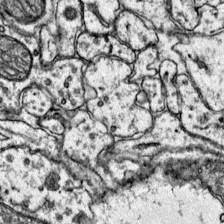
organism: Mouse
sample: Primary visual cortex